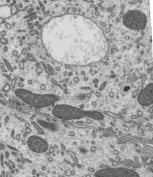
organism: Mouse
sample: Mouse epididymis efferent ductule cilia